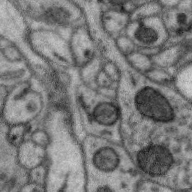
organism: Zebra finch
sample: Brain